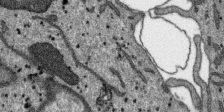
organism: Human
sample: Lung epithelial cells, uninfected (mock) control